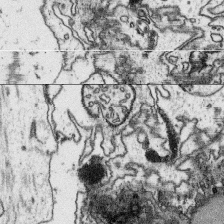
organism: Platynereis dumerilii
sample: Parapodia